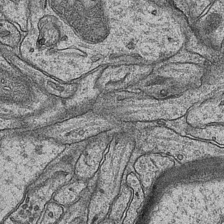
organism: Mouse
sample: CA1 Hippocampus